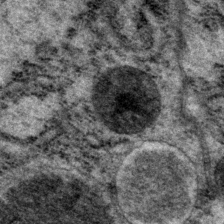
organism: P. pacificus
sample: Pharynx